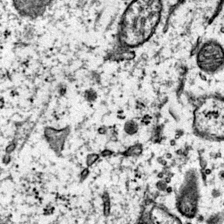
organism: Mouse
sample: Primary visual cortex